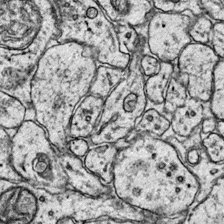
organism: Mouse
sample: Primary visual cortex